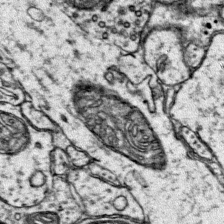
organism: Mouse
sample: Primary visual cortex